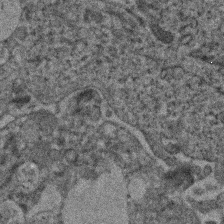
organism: Human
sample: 1205lu cells